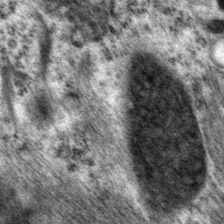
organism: P. pacificus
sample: Pharynx